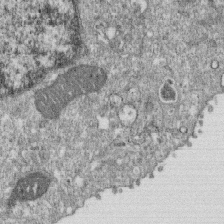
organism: African green monkey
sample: Vero E6 cells infected with SARS-CoV-2